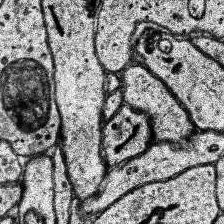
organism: Human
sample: Temporal Lobe